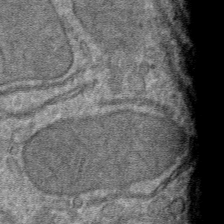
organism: Mouse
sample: Mouse hepatocytes